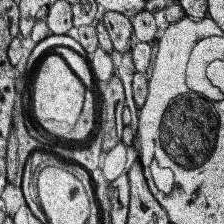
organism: Human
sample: Temporal Lobe